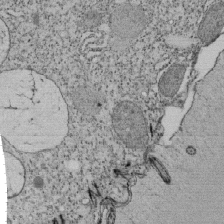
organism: Tetrahymena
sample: Cilia in tetrahymena